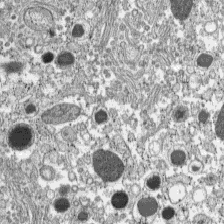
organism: C57BL Mouse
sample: Pancreatic islet